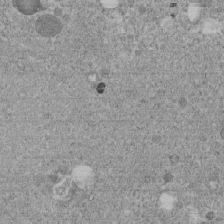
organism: C. elegans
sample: C. elegans embryo early stage